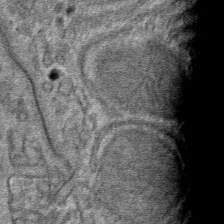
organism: Mouse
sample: Mouse hepatocytes